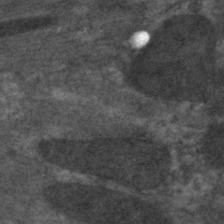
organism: C. elegans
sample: Pharynx